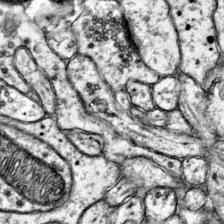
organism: Mouse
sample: Primary visual cortex